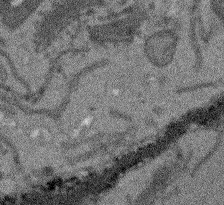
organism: Arabidopsis thaliana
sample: Root tip